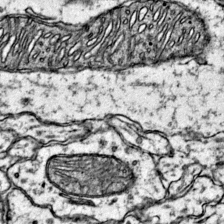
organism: Mouse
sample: Primary visual cortex